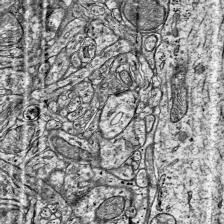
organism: Mouse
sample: Visual Cortex